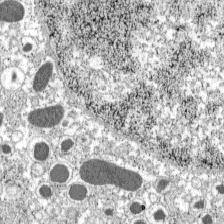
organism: C57BL Mouse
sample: Pancreatic islet